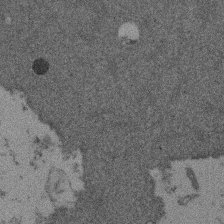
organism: Mouse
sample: Dividing mouse embryo 1 cell stage